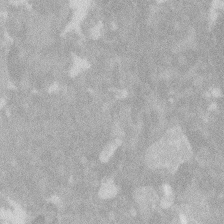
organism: Zebrafish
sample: Macrophage